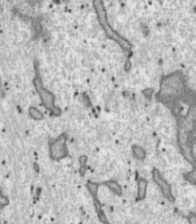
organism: Toxoplasma gondii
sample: Parasites in a vacuole inside a host cell